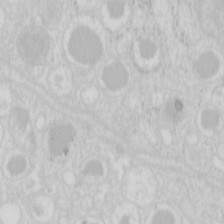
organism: Mouse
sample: Pancreas